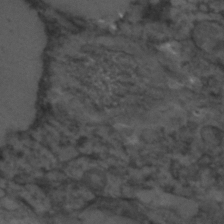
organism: C. elegans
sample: C. elegans embryo